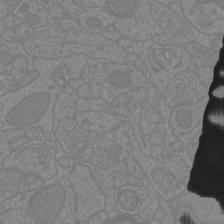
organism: Mouse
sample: Cortical neurons